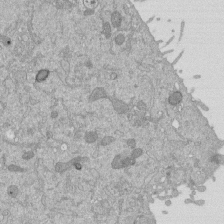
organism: Mouse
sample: ED-1 cell nuclei; centrioles